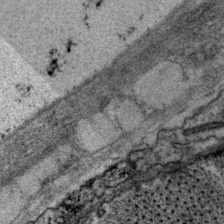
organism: P. pacificus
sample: Pharynx